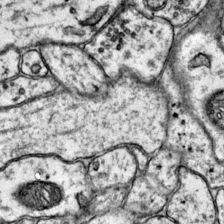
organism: Mouse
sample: Primary visual cortex